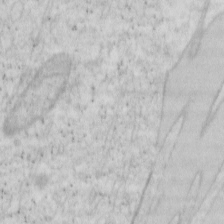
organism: Human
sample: HeLa cells